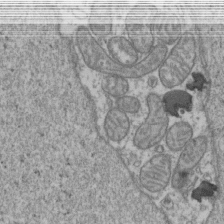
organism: Human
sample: Activated Jurkat CD4+ T cells